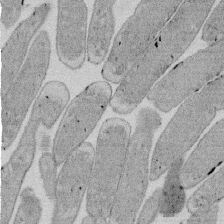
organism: E. coli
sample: Bacterial nucleoid